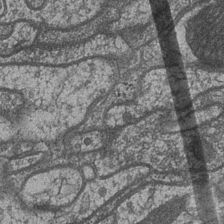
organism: Drosophila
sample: Optic medulla